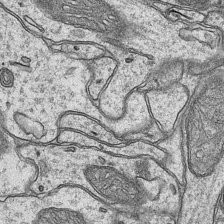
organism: Mouse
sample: CA1 Hippocampus